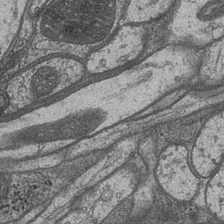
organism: Drosophila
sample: Optic medulla